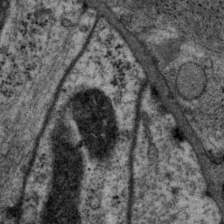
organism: P. pacificus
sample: Pharynx